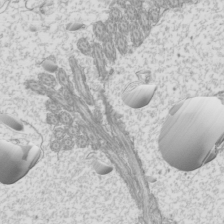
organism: Mouse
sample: Cilia; mouse epididymis